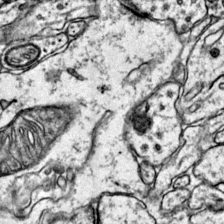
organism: Mouse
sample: Primary visual cortex